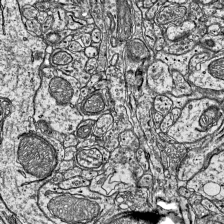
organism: Mouse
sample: Visual Cortex